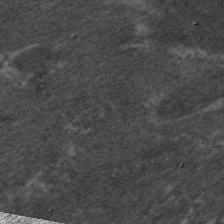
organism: C. elegans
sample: Pharynx